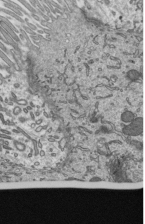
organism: Mouse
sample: Mouse epididymis efferent ductule cilia